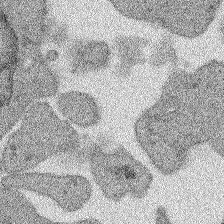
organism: Human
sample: HeLa cells